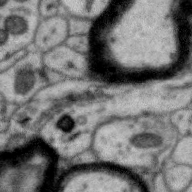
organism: Zebra finch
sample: Brain